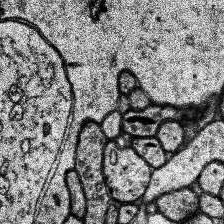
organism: Human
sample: Temporal Lobe